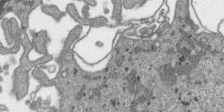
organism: Human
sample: Lung epithelial cells infected with SARS-CoV-2